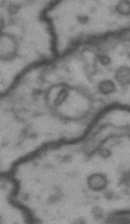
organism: Drosophila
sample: Brain